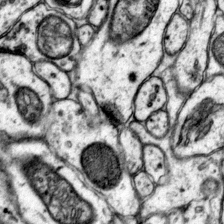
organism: Mouse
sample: Primary visual cortex